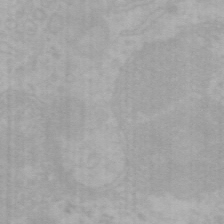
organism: Mouse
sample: Choroid plexus